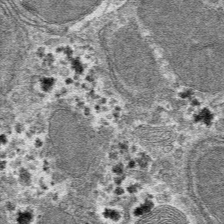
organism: Mouse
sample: Mouse hepatocytes